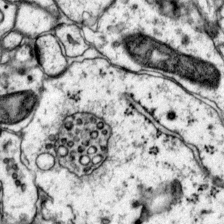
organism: Mouse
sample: Primary visual cortex